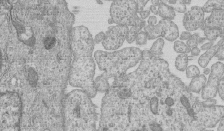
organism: Human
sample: MDA-MB-231 cells